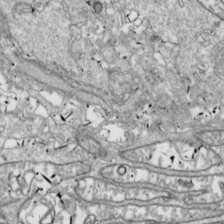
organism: Drosophila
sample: Cell division; meiosis; drosophila spermatocytes